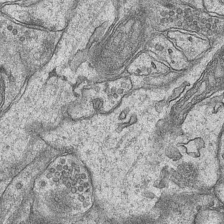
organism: Mouse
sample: CA1 Hippocampus